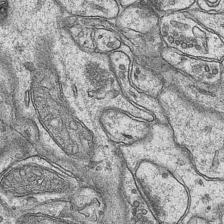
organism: Mouse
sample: CA1 Hippocampus